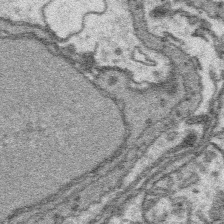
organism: Platynereis dumerilii